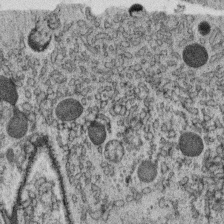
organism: C. elegans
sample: C. elegans oocyte; sperm cells